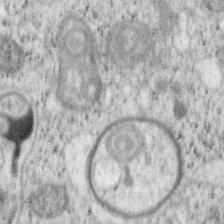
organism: Mouse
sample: OT-I killer T cells with ID8 ovarian cancer cells